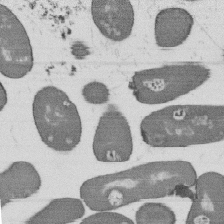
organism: B. subtilis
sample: Bacterial spore